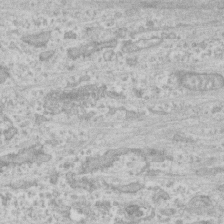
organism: Human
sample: CRL-1474